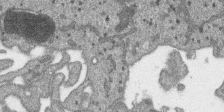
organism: Human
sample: Lung epithelial cells infected with SARS-CoV-2